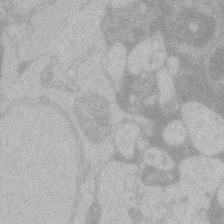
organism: Zebrafish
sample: Macrophage infected with Toxoplasma gondii